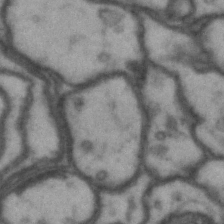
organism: Drosophila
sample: Brain